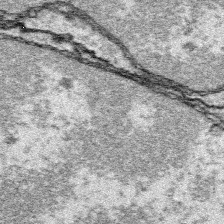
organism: Platynereis dumerilii